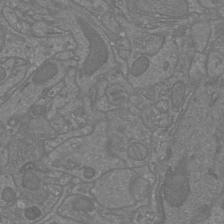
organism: Mouse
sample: Cortical neurons